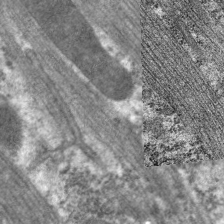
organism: C. elegans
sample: Pharynx